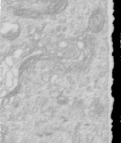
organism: Human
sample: Centriole in RPE cells